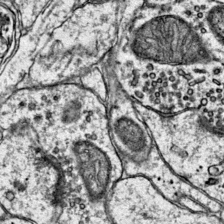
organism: Mouse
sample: Primary visual cortex